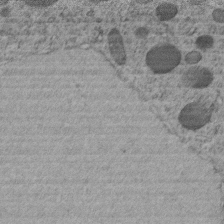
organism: C. elegans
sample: C. elegans embryo early stage